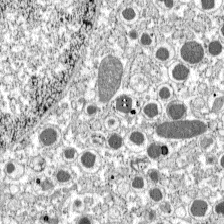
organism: C57BL Mouse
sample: Pancreatic islet